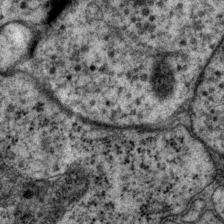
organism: P. pacificus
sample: Pharynx